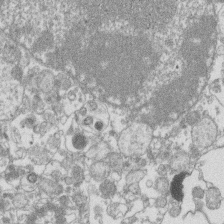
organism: Human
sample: HeLa cell HIV synapse